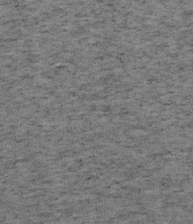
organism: Mouse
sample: OT-I killer T cells with ID8 ovarian cancer cells